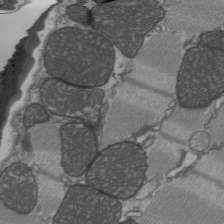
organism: C57BL Mouse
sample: Heart